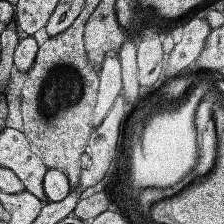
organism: Human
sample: Temporal Lobe